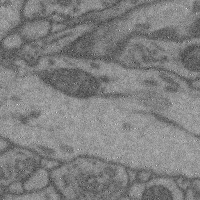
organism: Mouse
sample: Cerebral cortex